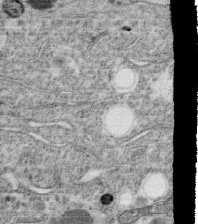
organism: C. elegans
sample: C. elegans oocyte; sperm cells